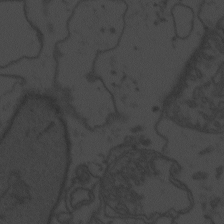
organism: Zebrafish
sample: Macrophage infected with Toxoplasma gondii